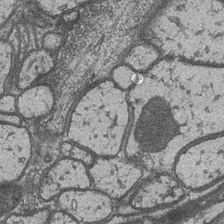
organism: Drosophila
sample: Optic medulla